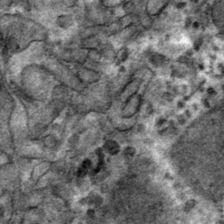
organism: Mouse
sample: Mouse hepatocytes